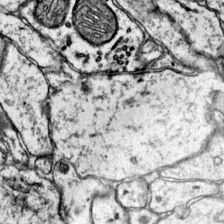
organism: Mouse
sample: Primary visual cortex